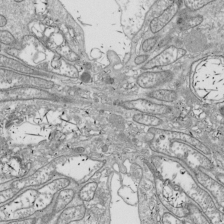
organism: Drosophila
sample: Cell division; meiosis; drosophila spermatocytes